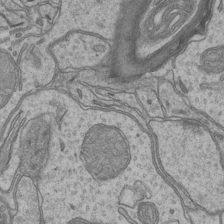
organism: Mouse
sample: CA1 Hippocampus